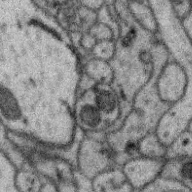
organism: Zebra finch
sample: Brain